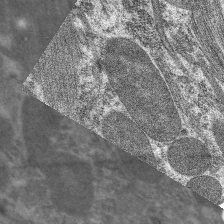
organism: C. elegans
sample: Pharynx